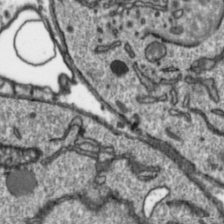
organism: Toxoplasma gondii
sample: Parasites in a vacuole inside a host cell